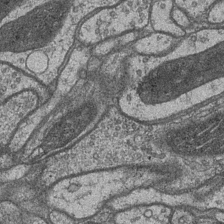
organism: Drosophila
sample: Optic medulla